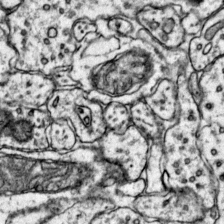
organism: Mouse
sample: Primary visual cortex